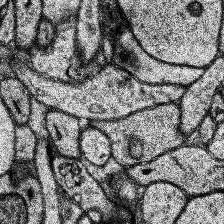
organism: Human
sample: Temporal Lobe